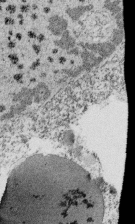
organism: Tetrahymena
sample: Cilia in tetrahymena